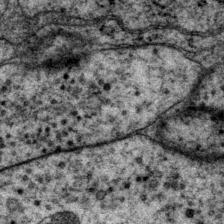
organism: P. pacificus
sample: Pharynx